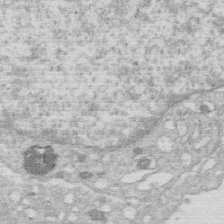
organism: Human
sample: Macrophage cells